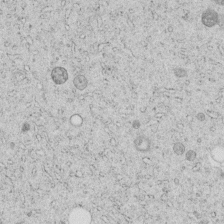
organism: C. elegans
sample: C. elegans embryo early stage